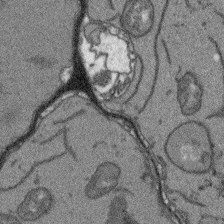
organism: Arabidopsis thaliana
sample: Root tip